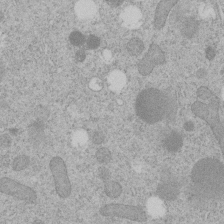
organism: C. elegans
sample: C. elegans embryo early stage